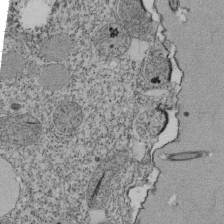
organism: Tetrahymena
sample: Cilia in tetrahymena